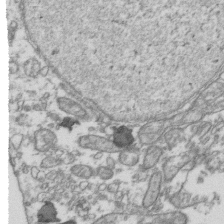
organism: Human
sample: Activated Jurkat CD4+ T cells